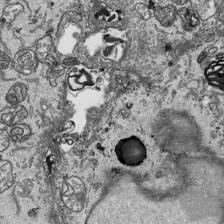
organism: Human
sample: Mitochondria in HCT116 cells